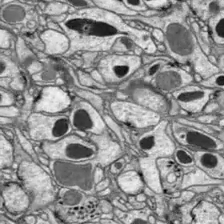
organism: Drosophila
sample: Optic lobe